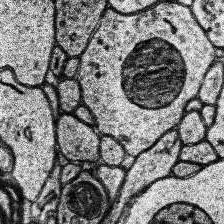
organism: Human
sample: Temporal Lobe